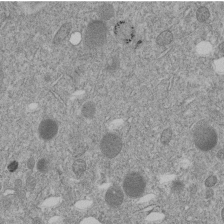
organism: C. elegans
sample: C. elegans embryo early stage